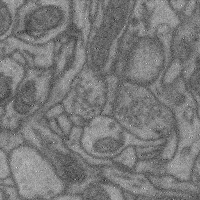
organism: Mouse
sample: Cerebral cortex